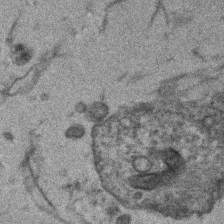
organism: Human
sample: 1205lu cells